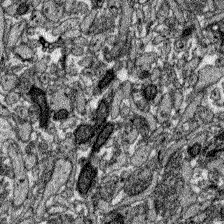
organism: Zebrafish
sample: Larval olfactory bulb